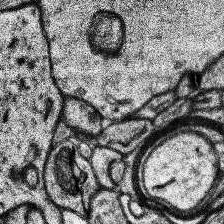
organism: Human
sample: Temporal Lobe